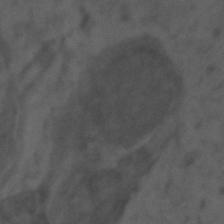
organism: Zebrafish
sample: Zebrafish embryo